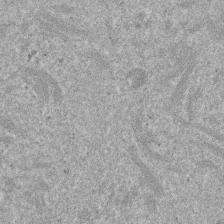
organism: Mouse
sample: Dividing mouse embryo 1 cell stage